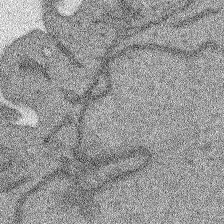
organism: Human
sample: HeLa cells